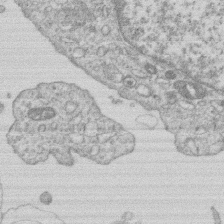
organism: Human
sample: Macrophage cells